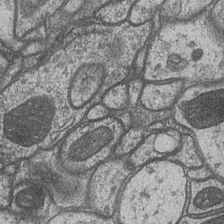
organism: Drosophila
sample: Optic medulla